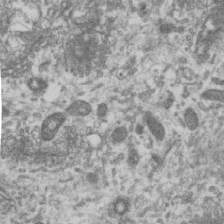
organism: Human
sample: Centriole in RPE cells